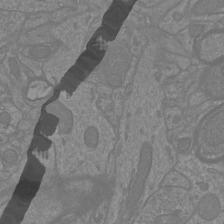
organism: Mouse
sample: Cortical neurons